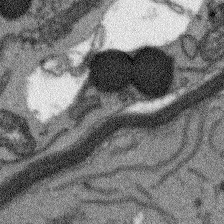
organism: Arabidopsis thaliana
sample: Root tip